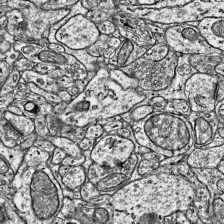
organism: Mouse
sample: Visual Cortex